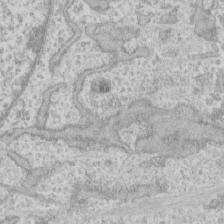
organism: Human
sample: CRL-1474